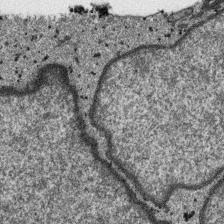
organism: Human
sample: Lung epithelial cells infected with SARS-CoV-2